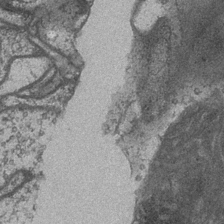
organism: Drosophila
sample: Optic medulla